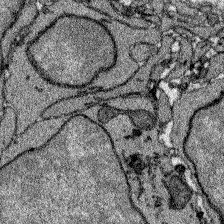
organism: Zebrafish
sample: Larval olfactory bulb